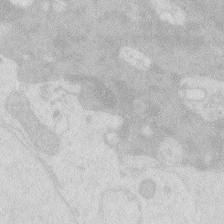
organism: Zebrafish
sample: Macrophage